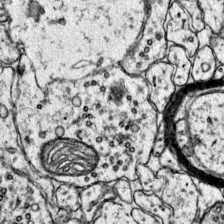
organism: Mouse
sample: Primary visual cortex